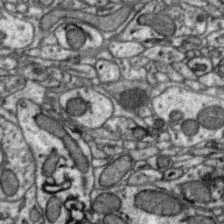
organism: Zebra finch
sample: Brain